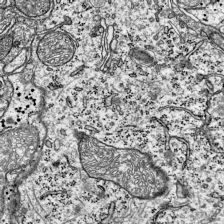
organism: Mouse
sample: Visual Cortex